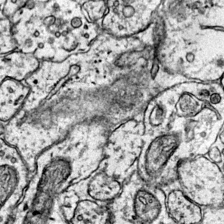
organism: Mouse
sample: Primary visual cortex